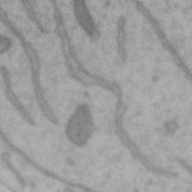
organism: Zebra finch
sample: Brain